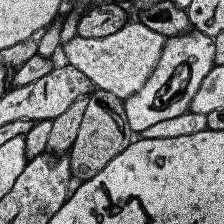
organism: Human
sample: Temporal Lobe